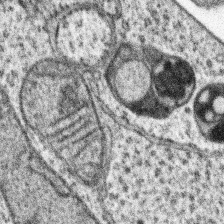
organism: Human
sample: HeLa cells